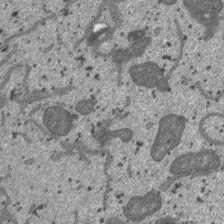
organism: Human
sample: Lung epithelial cells infected with SARS-CoV-2